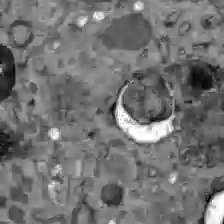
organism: C57BL Mouse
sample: Liver